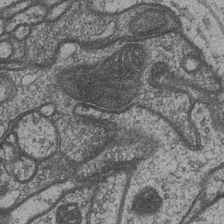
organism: Drosophila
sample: Optic medulla